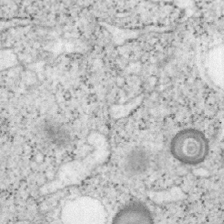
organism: Mouse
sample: OT-I killer T cells with ID8 ovarian cancer cells